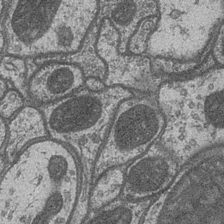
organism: Drosophila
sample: Optic medulla